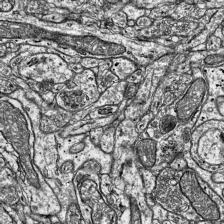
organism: Mouse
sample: Visual Cortex